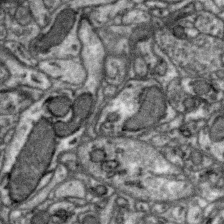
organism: Zebra finch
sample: Brain